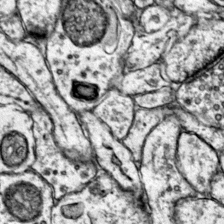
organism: Mouse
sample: Primary visual cortex